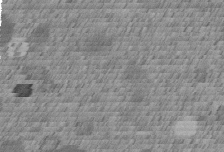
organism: C. elegans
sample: C. elegans embryo early stage